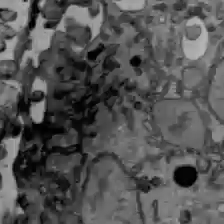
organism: C57BL Mouse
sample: Liver